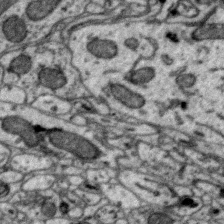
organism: Zebra finch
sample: Brain